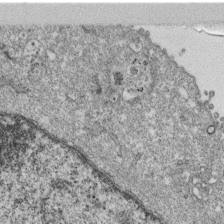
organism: African green monkey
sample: Vero E6 cells infected with SARS-CoV-2